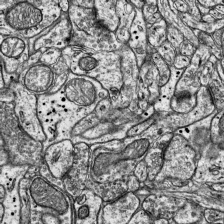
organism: Mouse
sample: Visual Cortex